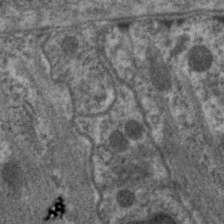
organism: C. elegans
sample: Pharynx